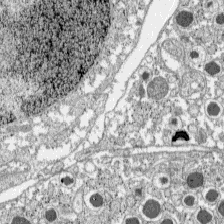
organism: C57BL Mouse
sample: Pancreatic islet